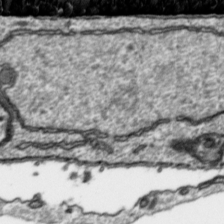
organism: Toxoplasma gondii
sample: Parasites in a vacuole inside a host cell